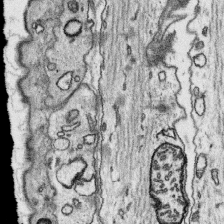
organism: Platynereis dumerilii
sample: Parapodia